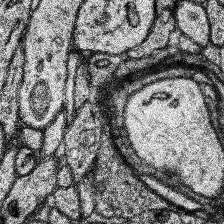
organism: Human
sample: Temporal Lobe